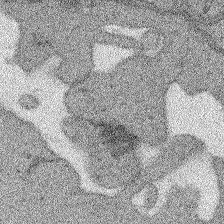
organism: Human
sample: HeLa cells